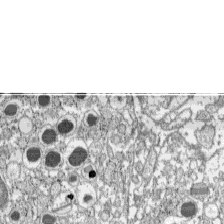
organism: C57BL Mouse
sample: Pancreatic islet